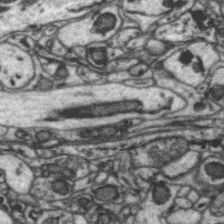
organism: Zebra finch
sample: Brain